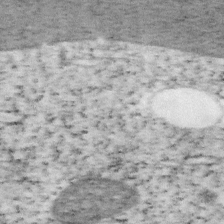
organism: Mouse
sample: OT-I killer T cells with ID8 ovarian cancer cells